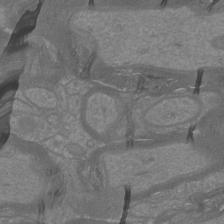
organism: Mouse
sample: Cortical neurons